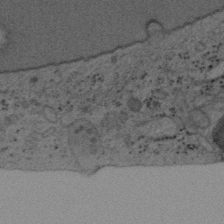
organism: Human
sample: HeLa cells